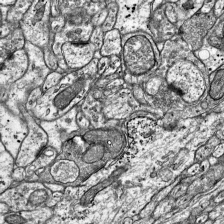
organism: Mouse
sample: Visual Cortex